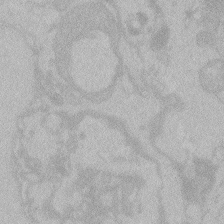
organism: Zebrafish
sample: Macrophage infected with Toxoplasma gondii